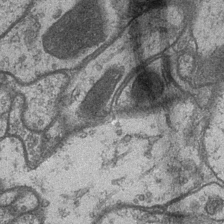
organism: Drosophila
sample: Optic medulla